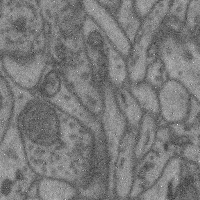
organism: Mouse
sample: Cerebral cortex